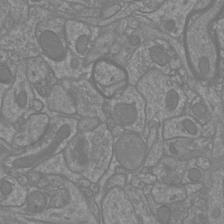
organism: Mouse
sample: Cortical neurons